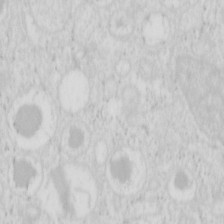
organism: Mouse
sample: Pancreas